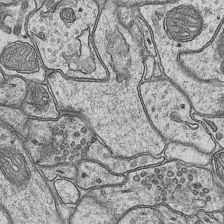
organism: Mouse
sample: CA1 Hippocampus